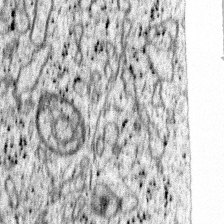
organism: Human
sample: HeLa cells